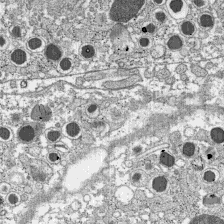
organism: C57BL Mouse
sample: Pancreatic islet